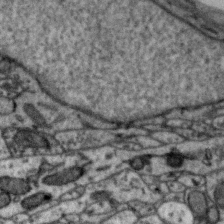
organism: Zebra finch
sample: Brain